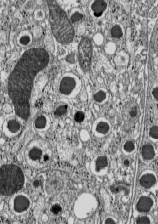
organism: C57BL Mouse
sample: Pancreatic islet